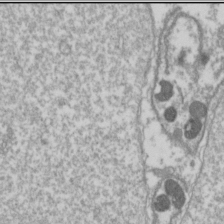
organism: Drosophila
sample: Cell division; meiosis; drosophila spermatocytes